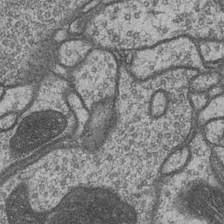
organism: Drosophila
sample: Optic medulla